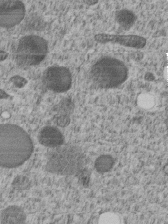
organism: C. elegans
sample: C. elegans embryo early stage